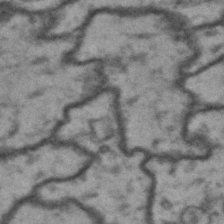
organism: Drosophila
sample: Brain